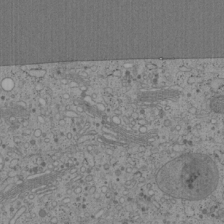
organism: African green monkey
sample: COS-7 cells